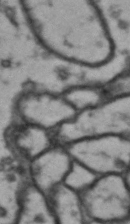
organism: Drosophila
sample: Brain